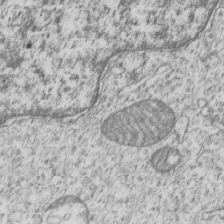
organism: Human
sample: MDA-MB-231 cells